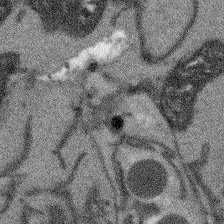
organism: Arabidopsis thaliana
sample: Root tip